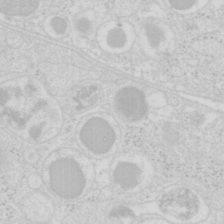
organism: Mouse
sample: Pancreas